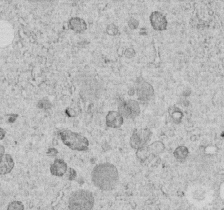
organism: C. elegans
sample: C. elegans embryo early stage